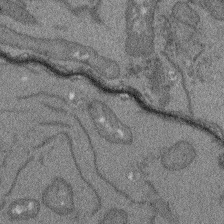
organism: Arabidopsis thaliana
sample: Root tip